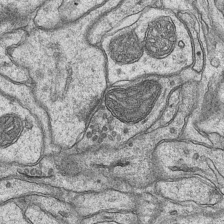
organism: Mouse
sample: CA1 Hippocampus